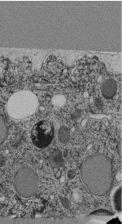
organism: C. elegans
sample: C. elegans pharynx